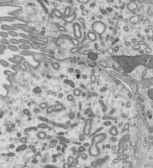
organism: Mouse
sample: Mouse epididymis efferent ductule cilia